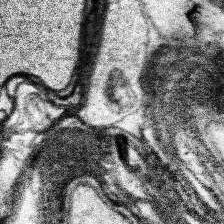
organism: Human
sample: Temporal Lobe